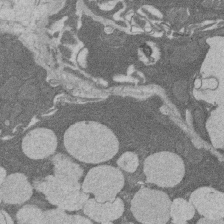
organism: Rat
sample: Salivary granule